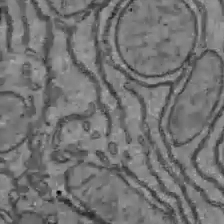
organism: C57BL Mouse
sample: Liver